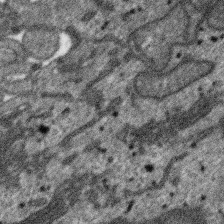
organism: Human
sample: Lung epithelial cells infected with SARS-CoV-2